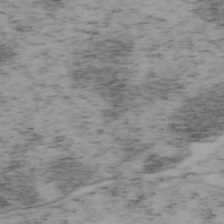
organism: Mouse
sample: OT-I killer T cells with ID8 ovarian cancer cells